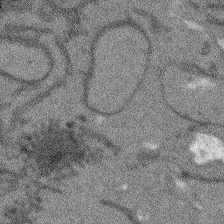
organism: Arabidopsis thaliana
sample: Root tip